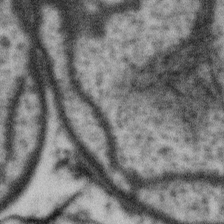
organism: Gemmata obscuriglobus